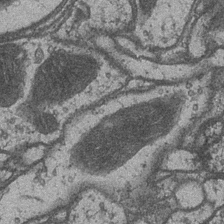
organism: Drosophila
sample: Optic medulla